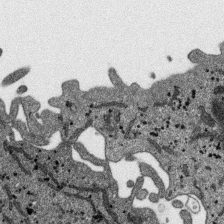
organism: Human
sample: Lung epithelial cells infected with SARS-CoV-2